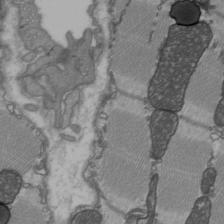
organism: C57BL Mouse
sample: Heart